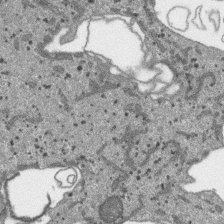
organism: Human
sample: Lung epithelial cells infected with SARS-CoV-2